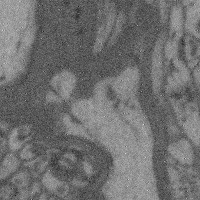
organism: Mouse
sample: Cerebral cortex